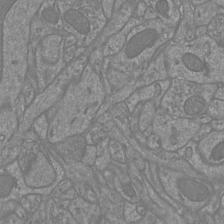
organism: Mouse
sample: Cortical neurons